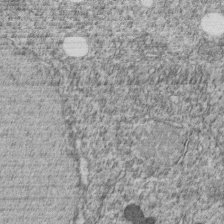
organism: C. elegans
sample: C. elegans embryo early stage